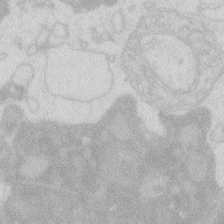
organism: Zebrafish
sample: Macrophage